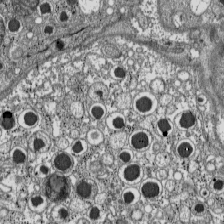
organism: C57BL Mouse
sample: Pancreatic islet